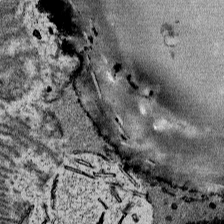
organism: Mouse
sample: Mouse Salivary gland